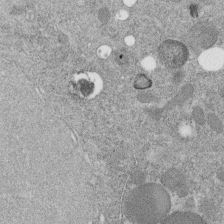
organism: C. elegans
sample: C. elegans embryo early stage